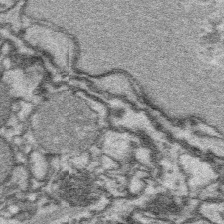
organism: Platynereis dumerilii